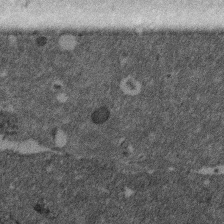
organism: Mouse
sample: Dividing mouse embryo 1 cell stage